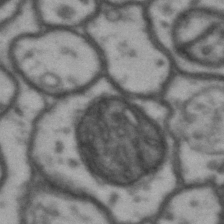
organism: Drosophila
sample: Brain